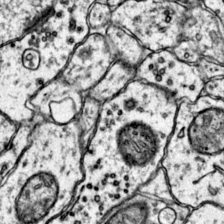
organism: Mouse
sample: Primary visual cortex